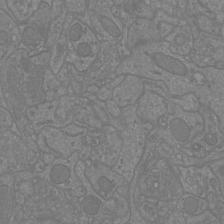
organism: Mouse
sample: Cortical neurons